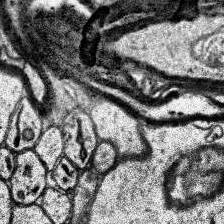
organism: Human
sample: Temporal Lobe